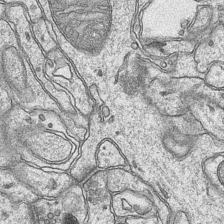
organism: Mouse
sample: CA1 Hippocampus